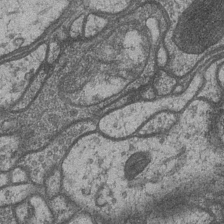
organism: Drosophila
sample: Optic medulla